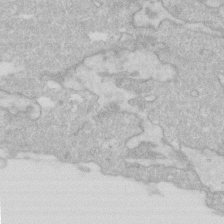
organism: Human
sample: Fibroblast cells